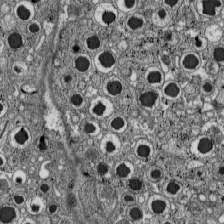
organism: C57BL Mouse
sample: Pancreatic islet